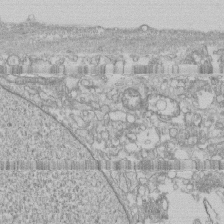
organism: Human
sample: CRL-1474